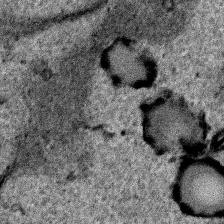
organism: Human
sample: Mitochondria in HCT116 cells